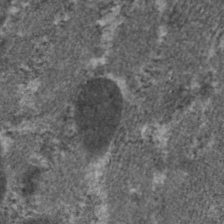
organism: C. elegans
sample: Pharynx